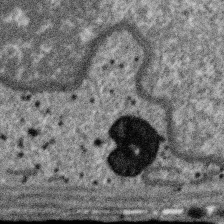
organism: Human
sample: Lung epithelial cells infected with SARS-CoV-2